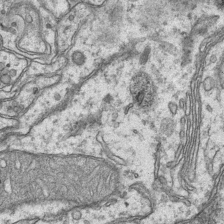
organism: Mouse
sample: CA1 Hippocampus